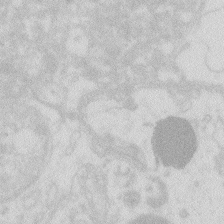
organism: Zebrafish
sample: Macrophage